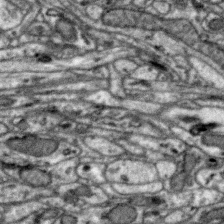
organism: Zebra finch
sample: Brain